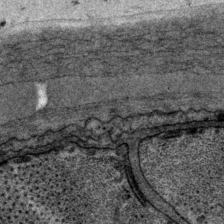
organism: P. pacificus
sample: Pharynx